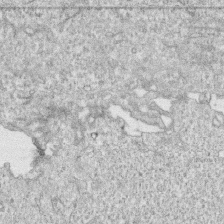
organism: Human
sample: HeLa cell HIV synapse